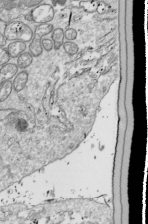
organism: Drosophila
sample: Cell division; meiosis; drosophila spermatocytes